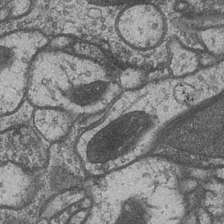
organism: Drosophila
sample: Optic medulla